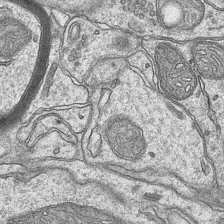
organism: Mouse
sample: CA1 Hippocampus